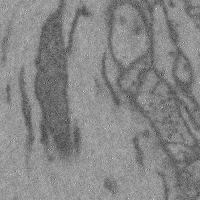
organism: Mouse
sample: Cerebral cortex